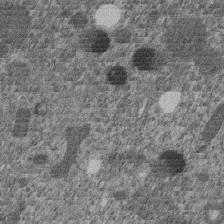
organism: C. elegans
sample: C. elegans embryo early stage